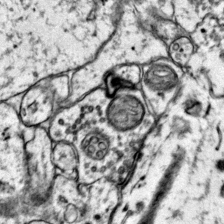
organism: Mouse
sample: Primary visual cortex